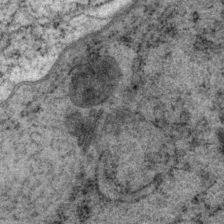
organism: P. pacificus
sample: Pharynx